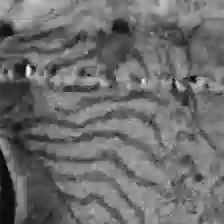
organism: C57BL Mouse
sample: Liver